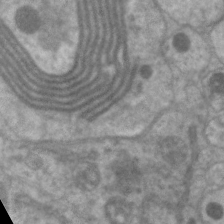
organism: C. elegans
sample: Pharynx